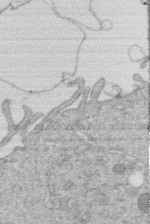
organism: Human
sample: Macrophage cells